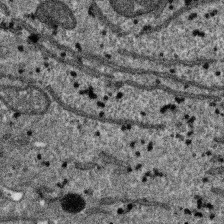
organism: Human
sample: Lung epithelial cells infected with SARS-CoV-2